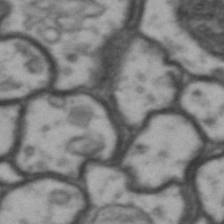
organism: Drosophila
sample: Brain